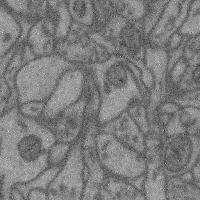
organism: Mouse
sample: Cerebral cortex